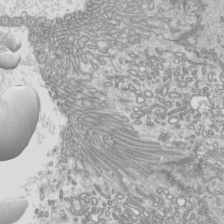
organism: Mouse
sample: Cilia; mouse epididymis